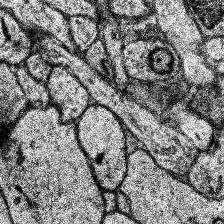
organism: Human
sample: Temporal Lobe